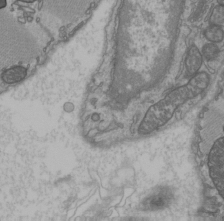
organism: C57BL Mouse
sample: Heart